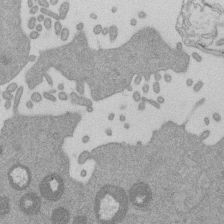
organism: Mouse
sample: Dividing mouse embryo 1 cell stage